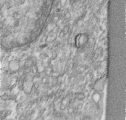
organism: Human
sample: Centriole in RPE cells